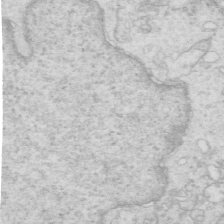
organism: Mouse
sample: Multiciliated cells